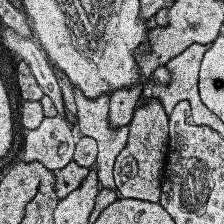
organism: Human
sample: Temporal Lobe